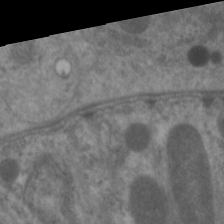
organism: C. elegans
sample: Pharynx